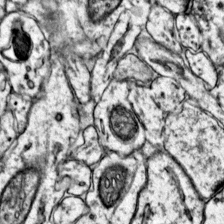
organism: Mouse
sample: Primary visual cortex